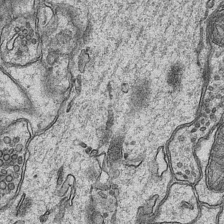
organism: Mouse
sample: CA1 Hippocampus